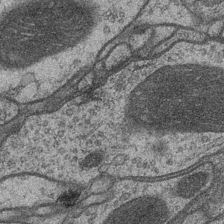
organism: Drosophila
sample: Optic medulla